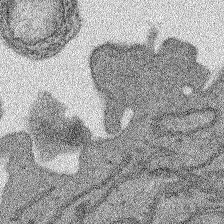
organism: Human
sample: HeLa cells